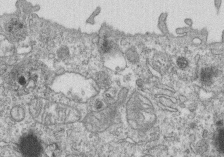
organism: Human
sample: HeLa cell HIV synapse